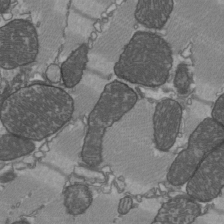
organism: C57BL Mouse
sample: Heart